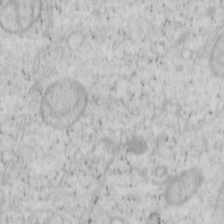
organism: Human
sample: HeLa cells